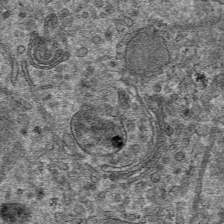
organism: Mouse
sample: Mouse hepatocytes